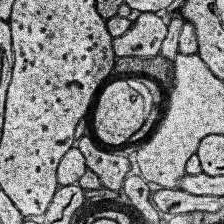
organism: Human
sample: Temporal Lobe